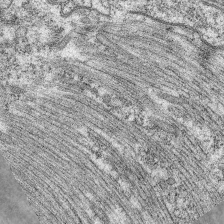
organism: C. elegans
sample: Pharynx